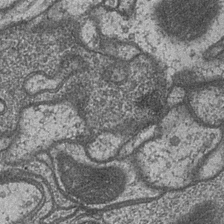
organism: Drosophila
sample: Optic medulla